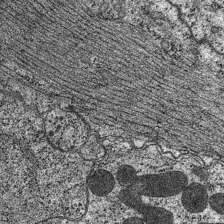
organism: C. elegans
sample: Pharynx